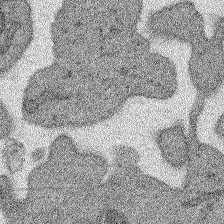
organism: Human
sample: HeLa cells